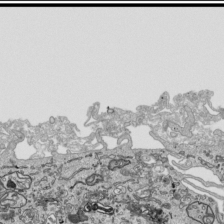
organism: Human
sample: Mitochondria in HCT116 cells